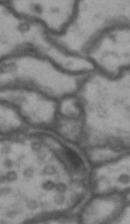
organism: Drosophila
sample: Brain